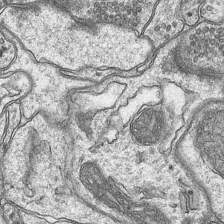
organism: Mouse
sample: CA1 Hippocampus